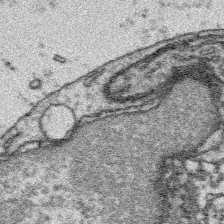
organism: Platynereis dumerilii